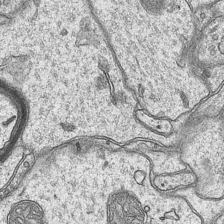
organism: Mouse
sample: CA1 Hippocampus